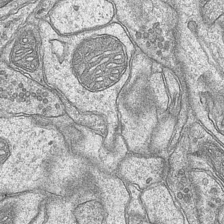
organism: Mouse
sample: CA1 Hippocampus